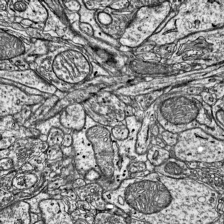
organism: Mouse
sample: Visual Cortex